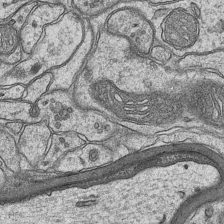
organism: Mouse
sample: CA1 Hippocampus